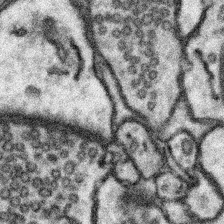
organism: Mouse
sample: Somatosensory cortex neuropil